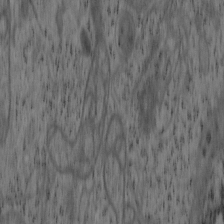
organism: Human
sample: HeLa cells